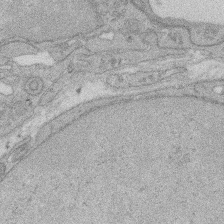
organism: Rat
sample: Salivary granule